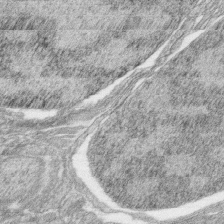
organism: Zebrafish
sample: synaptic ribbons in rod cells and cone cells